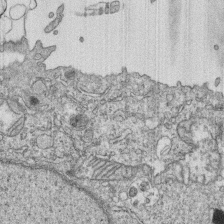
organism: Human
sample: HeLa cell HIV synapse